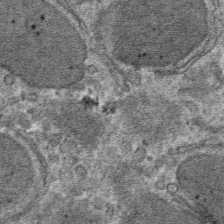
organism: Mouse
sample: Mouse hepatocytes